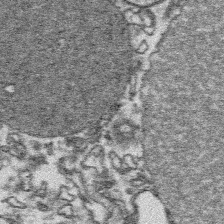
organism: Platynereis dumerilii